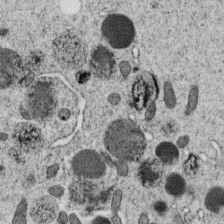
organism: C. elegans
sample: C. elegans oocyte; sperm cells